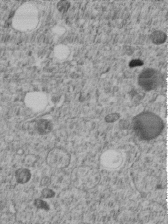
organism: C. elegans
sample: C. elegans embryo early stage